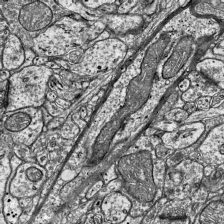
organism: Mouse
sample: Visual Cortex